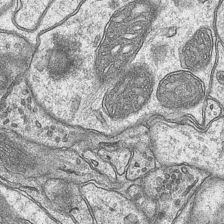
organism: Mouse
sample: CA1 Hippocampus